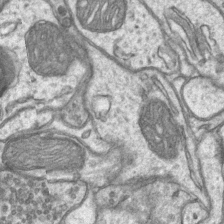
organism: Mouse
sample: CA1 Hippocampus